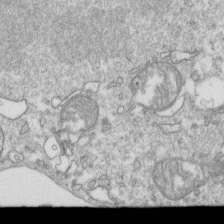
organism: Mouse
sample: Activated OT-1 CD8+ T cells